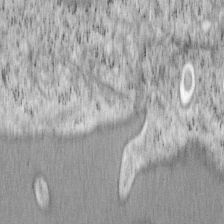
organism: Human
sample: HeLa cells